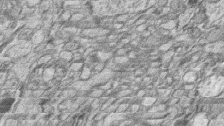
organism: Zebrafish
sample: synaptic ribbons in rod cells and cone cells